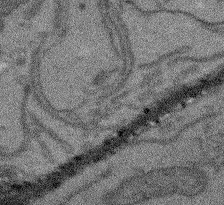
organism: Arabidopsis thaliana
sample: Root tip